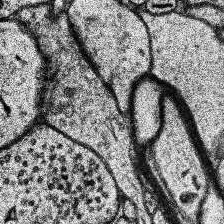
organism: Human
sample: Temporal Lobe